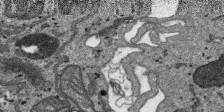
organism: Human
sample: Lung epithelial cells infected with SARS-CoV-2